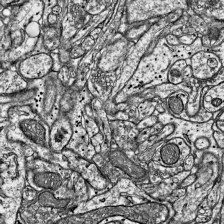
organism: Mouse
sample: Visual Cortex